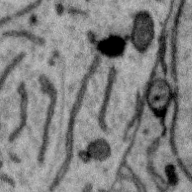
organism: Zebra finch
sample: Brain